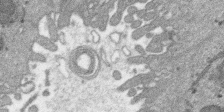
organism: Human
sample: Lung epithelial cells infected with SARS-CoV-2